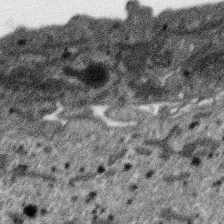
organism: Human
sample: Lung epithelial cells infected with SARS-CoV-2